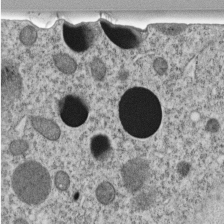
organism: C. elegans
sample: C. elegans embryo early stage